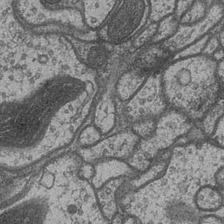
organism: Drosophila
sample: Optic medulla